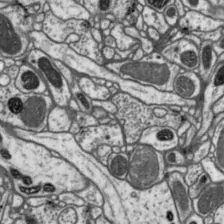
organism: Drosophila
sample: Protocerebral bridge